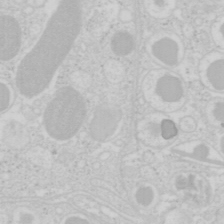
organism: Mouse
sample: Pancreas